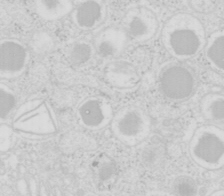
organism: Mouse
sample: Pancreas